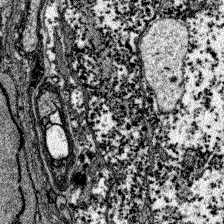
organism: Zebrafish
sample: Larval olfactory bulb